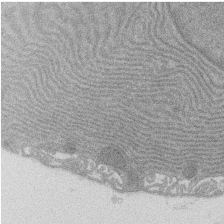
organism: Rat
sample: Salivary granule